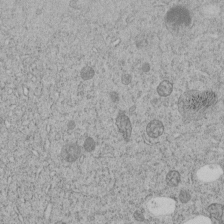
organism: C. elegans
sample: C. elegans embryo early stage